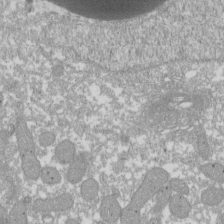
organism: Xenopus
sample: Cilia; centrioles in frog embryo cells